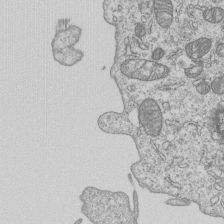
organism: Human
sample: MDA-MB-231 cells